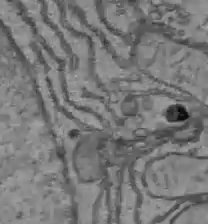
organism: C57BL Mouse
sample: Liver